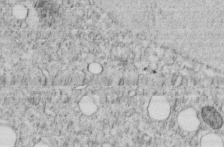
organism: C. elegans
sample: C. elegans embryo early stage